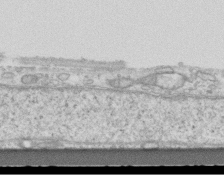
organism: Mouse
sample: Centriole in ependymal cells